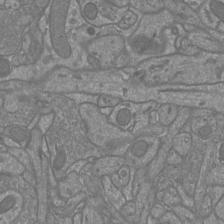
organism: Mouse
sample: Cortical neurons